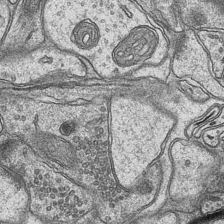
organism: Mouse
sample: CA1 Hippocampus